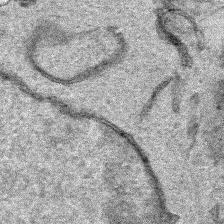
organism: Human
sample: Mitochondria in HCT116 cells